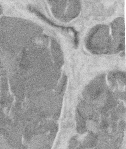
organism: Mouse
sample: T cell stromal cell synapse